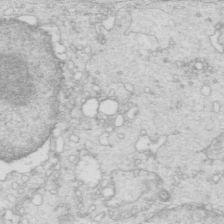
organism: Mouse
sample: Multiciliated cells